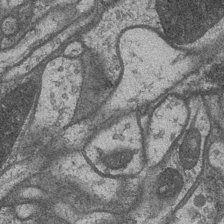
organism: Drosophila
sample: Optic medulla